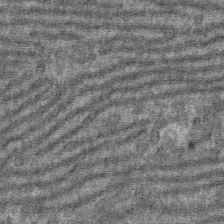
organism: Mouse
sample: Mouse hepatocytes